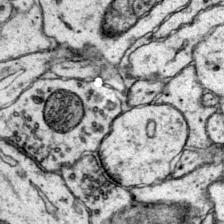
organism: Mouse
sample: Primary visual cortex